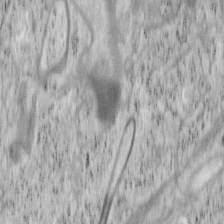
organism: Human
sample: HeLa cells